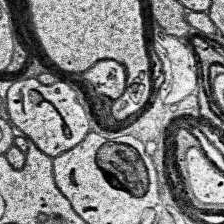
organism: Human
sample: Temporal Lobe